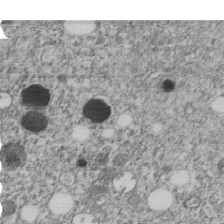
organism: C. elegans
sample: C. elegans embryo early stage